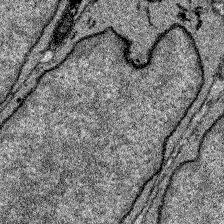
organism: Zebrafish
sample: Larval olfactory bulb